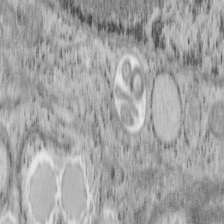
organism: Human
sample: HeLa cells